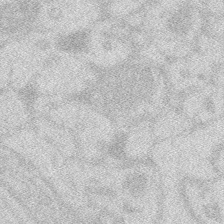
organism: Zebrafish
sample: Macrophage